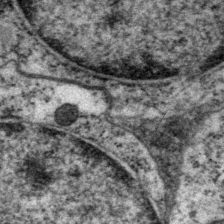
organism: P. pacificus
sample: Pharynx